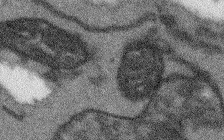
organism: Arabidopsis thaliana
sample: Root tip